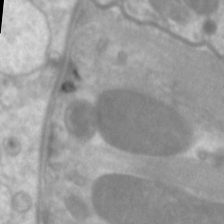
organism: C. elegans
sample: Pharynx